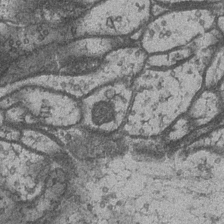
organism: Drosophila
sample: Optic medulla